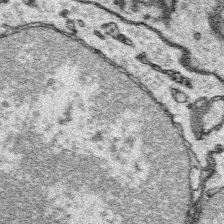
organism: Platynereis dumerilii